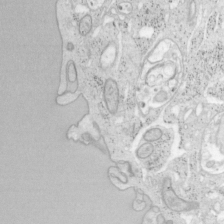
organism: Mouse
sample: OT-I killer T cells with ID8 ovarian cancer cells